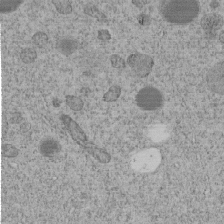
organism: C. elegans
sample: C. elegans embryo early stage